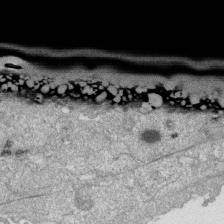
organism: Human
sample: HeLa cell HIV synapse